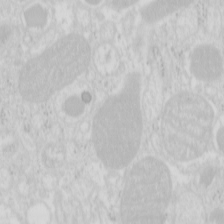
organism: Mouse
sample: Pancreas